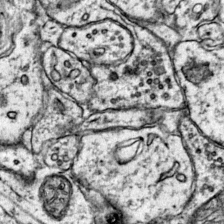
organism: Mouse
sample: Primary visual cortex